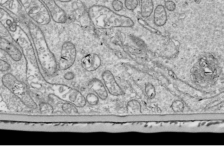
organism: Drosophila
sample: Cell division; meiosis; drosophila spermatocytes